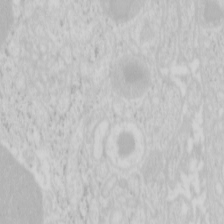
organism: Mouse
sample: Pancreas